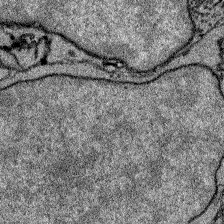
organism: Zebrafish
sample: Larval olfactory bulb